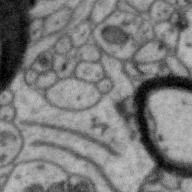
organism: Zebra finch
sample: Brain